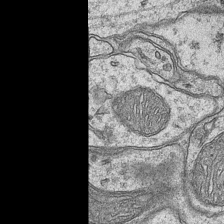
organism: Mouse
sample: CA1 Hippocampus